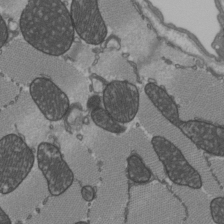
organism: C57BL Mouse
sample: Heart